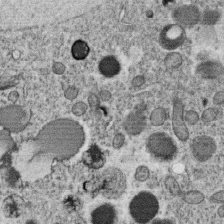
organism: C. elegans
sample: C. elegans oocyte; sperm cells